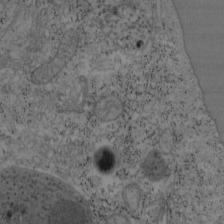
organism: Mouse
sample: OT-I killer T cells with ID8 ovarian cancer cells